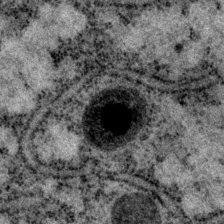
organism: P. pacificus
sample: Pharynx